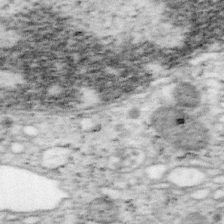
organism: Mouse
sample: OT-I killer T cells with ID8 ovarian cancer cells